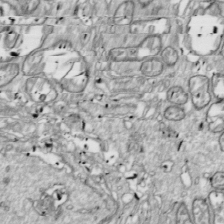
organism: Drosophila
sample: Cell division; meiosis; drosophila spermatocytes